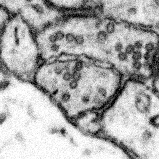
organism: Mouse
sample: Somatosensory cortex neuropil